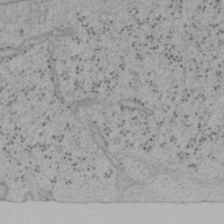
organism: Human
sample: HeLa cells